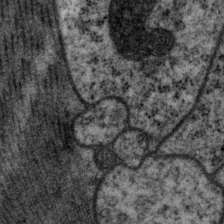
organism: P. pacificus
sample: Pharynx